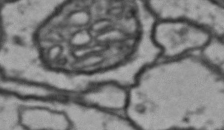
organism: Drosophila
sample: Brain